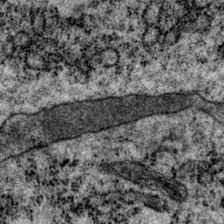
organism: P. pacificus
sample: Pharynx